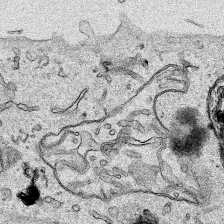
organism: Human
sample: Mitochondria in HCT116 cells